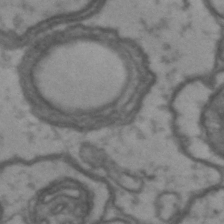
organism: Drosophila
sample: Brain